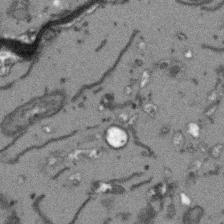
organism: Arabidopsis thaliana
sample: Root tip